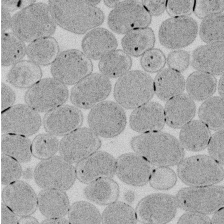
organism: E. coli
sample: Bacterial nucleoid